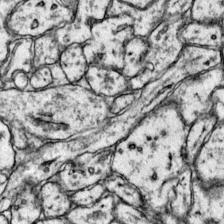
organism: Mouse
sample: Primary visual cortex